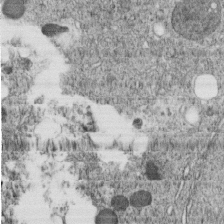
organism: C. elegans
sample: C. elegans embryo early stage